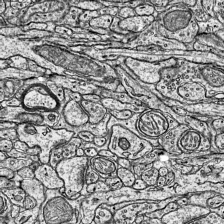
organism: Mouse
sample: Visual Cortex